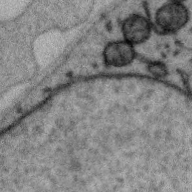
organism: Zebra finch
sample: Brain